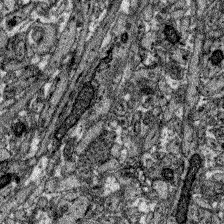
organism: Zebrafish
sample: Larval olfactory bulb